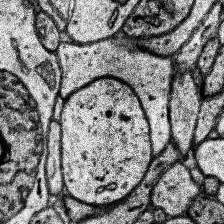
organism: Human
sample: Temporal Lobe